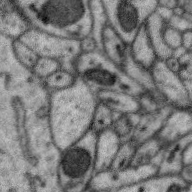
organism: Zebra finch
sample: Brain